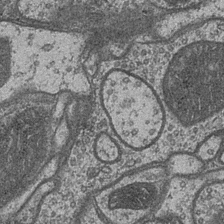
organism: Drosophila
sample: Optic medulla